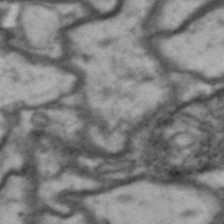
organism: Drosophila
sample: Brain